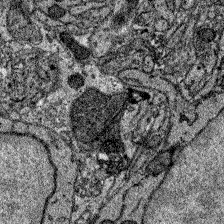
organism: Zebrafish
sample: Larval olfactory bulb